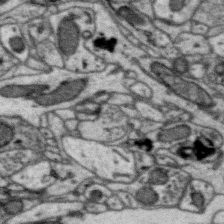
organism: Zebra finch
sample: Brain